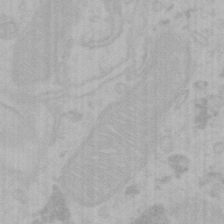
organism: Mouse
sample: Choroid plexus